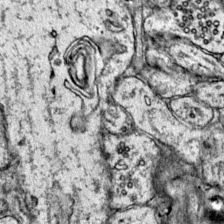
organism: Mouse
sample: Primary visual cortex